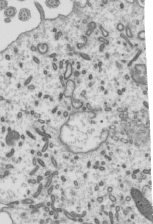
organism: Mouse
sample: Mouse epididymis efferent ductule cilia